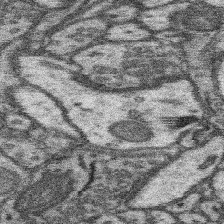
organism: Mouse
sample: Somatosensory cortex neuropil